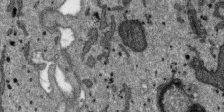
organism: Human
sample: Lung epithelial cells, uninfected (mock) control